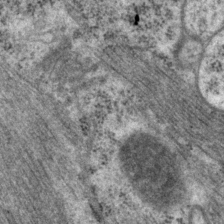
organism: P. pacificus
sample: Pharynx